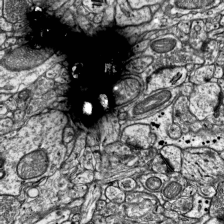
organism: Mouse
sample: Visual Cortex